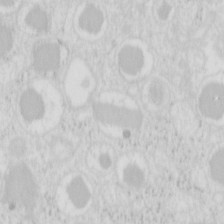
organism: Mouse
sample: Pancreas